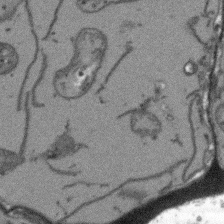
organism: Arabidopsis thaliana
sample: Root tip